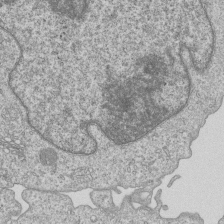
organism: Human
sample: MDA-MB-231 cells